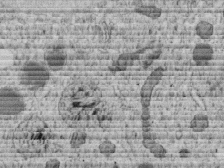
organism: C. elegans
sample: C. elegans embryo early stage